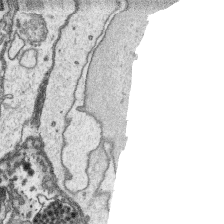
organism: Platynereis dumerilii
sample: Parapodia